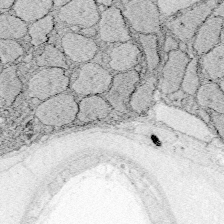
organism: Zebrafish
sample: Whole-Brain